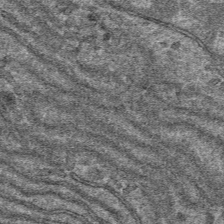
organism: Mouse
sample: Mouse hepatocytes